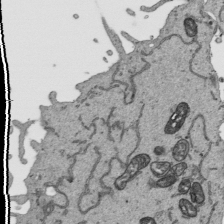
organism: Human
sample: Mitochondria in HCT116 cells